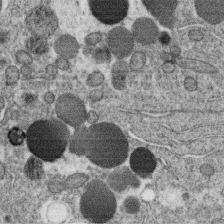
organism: C. elegans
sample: C. elegans oocyte; sperm cells